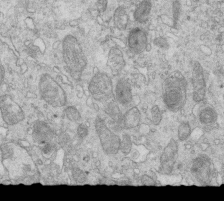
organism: Mouse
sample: Multiciliated cells